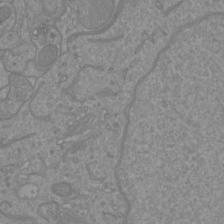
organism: Mouse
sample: Cortical neurons